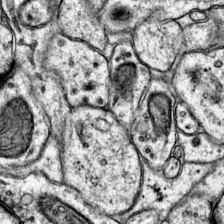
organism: Mouse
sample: Primary visual cortex